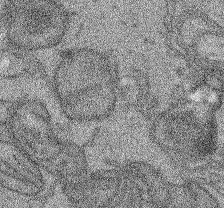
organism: Human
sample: HeLa cells